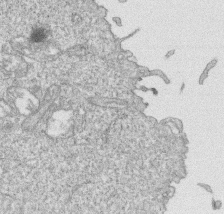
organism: Human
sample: HeLa cell HIV synapse